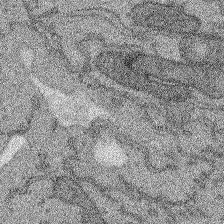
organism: Human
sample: HeLa cells